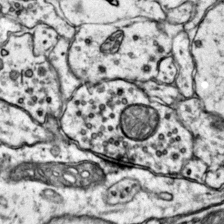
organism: Mouse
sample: Primary visual cortex